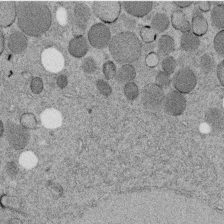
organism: C. elegans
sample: C. elegans embryo early stage